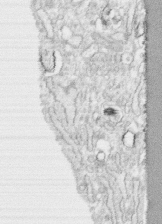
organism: Human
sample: CRL-1474